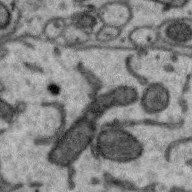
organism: Zebra finch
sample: Brain